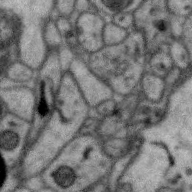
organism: Zebra finch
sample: Brain